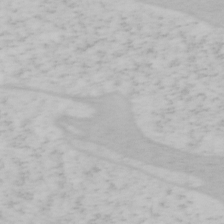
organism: Mouse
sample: OT-I killer T cells with ID8 ovarian cancer cells